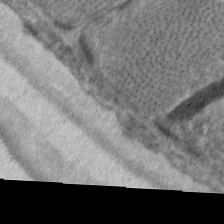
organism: C. elegans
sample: Pharynx